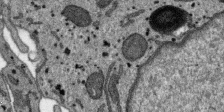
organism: Human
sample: Lung epithelial cells, uninfected (mock) control